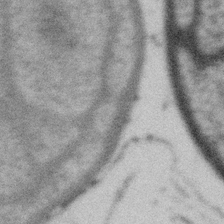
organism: Gemmata obscuriglobus